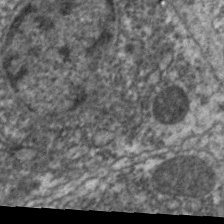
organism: C. elegans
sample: Pharynx